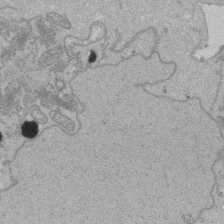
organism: Human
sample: Activated Jurkat CD4+ T cells